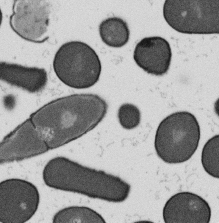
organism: B. subtilis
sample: Bacterial spore